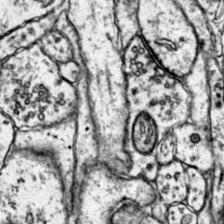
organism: Mouse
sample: Primary visual cortex